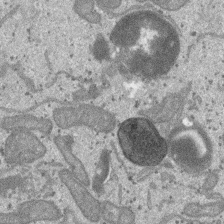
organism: Human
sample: Lung epithelial cells infected with SARS-CoV-2